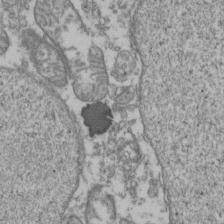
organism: Human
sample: Activated Jurkat CD4+ T cells